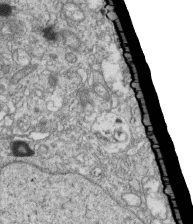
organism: Human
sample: HeLa cell HIV synapse